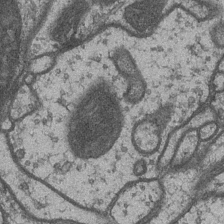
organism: Drosophila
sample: Optic medulla